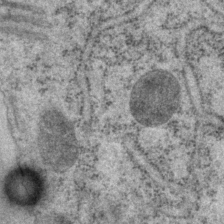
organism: P. pacificus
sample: Pharynx